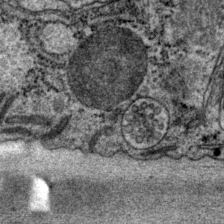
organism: P. pacificus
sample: Pharynx